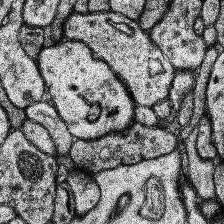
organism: Human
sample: Temporal Lobe